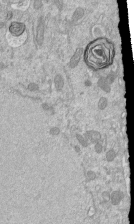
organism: Mouse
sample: ED-1 cell nuclei; centrioles